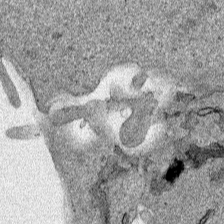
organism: Human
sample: Mitochondria in HCT116 cells